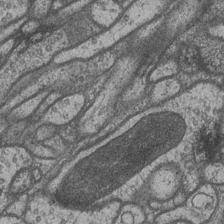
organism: Drosophila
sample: Optic medulla